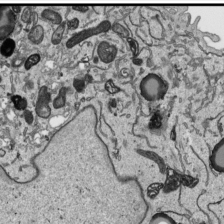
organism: Human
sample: Mitochondria in HCT116 cells